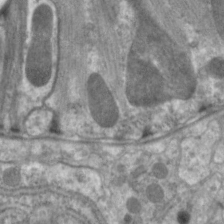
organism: C. elegans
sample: Pharynx